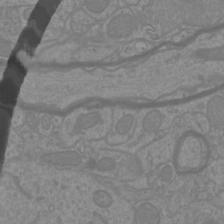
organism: Mouse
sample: Cortical neurons